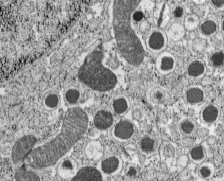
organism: C57BL Mouse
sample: Pancreatic islet